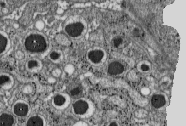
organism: C57BL Mouse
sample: Pancreatic islet